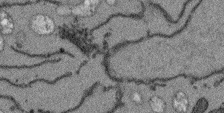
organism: Arabidopsis thaliana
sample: Root tip